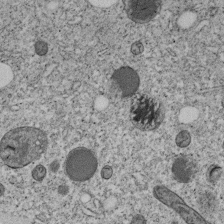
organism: C. elegans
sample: C. elegans embryo early stage